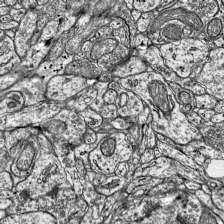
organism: Mouse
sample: Visual Cortex